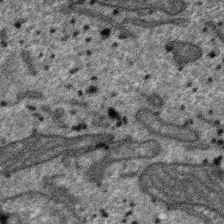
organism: Human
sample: Lung epithelial cells infected with SARS-CoV-2